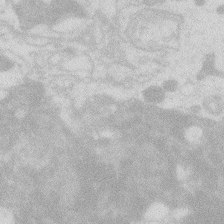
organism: Zebrafish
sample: Macrophage